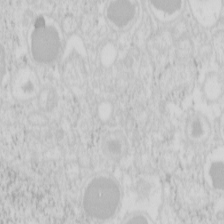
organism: Mouse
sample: Pancreas